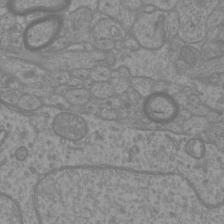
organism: Mouse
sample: Cortical neurons